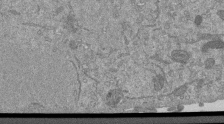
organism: Mouse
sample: ED-1 cell nuclei; centrioles